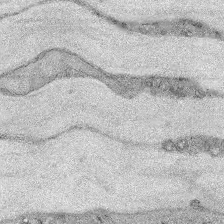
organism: Mouse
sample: Corneal nerves